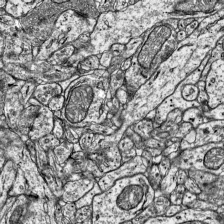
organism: Mouse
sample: Visual Cortex